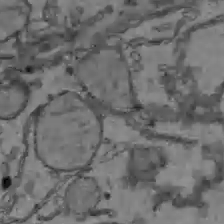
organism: C57BL Mouse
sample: Liver